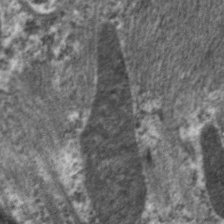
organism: C. elegans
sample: Pharynx